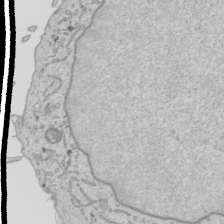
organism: Human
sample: Mitochondria in HCT116 cells